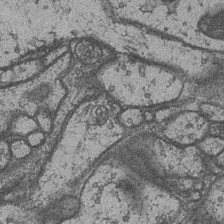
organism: Drosophila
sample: Optic medulla